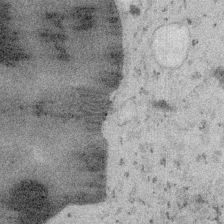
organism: Embia sp.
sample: Silk gland